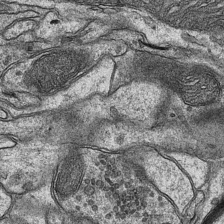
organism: Mouse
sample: CA1 Hippocampus